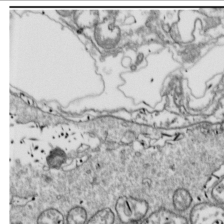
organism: Drosophila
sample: Cell division; meiosis; drosophila spermatocytes